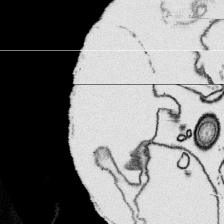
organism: Platynereis dumerilii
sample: Parapodia